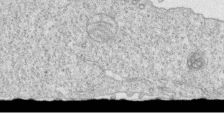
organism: Human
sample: HeLa cell HIV synapse